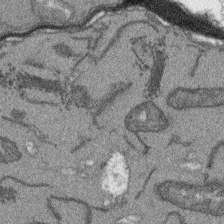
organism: Arabidopsis thaliana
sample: Root tip